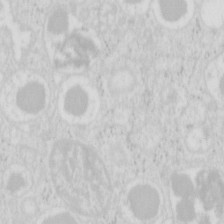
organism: Mouse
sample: Pancreas